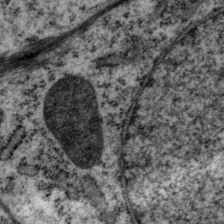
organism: P. pacificus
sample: Pharynx